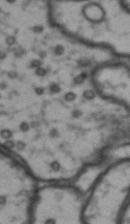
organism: Drosophila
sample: Brain